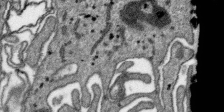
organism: Human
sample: Lung epithelial cells, uninfected (mock) control